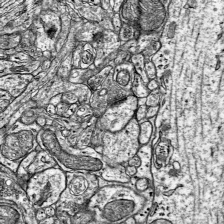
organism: Mouse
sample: Visual Cortex